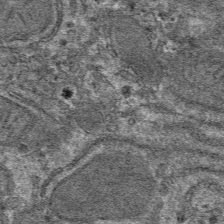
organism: Mouse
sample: Mouse hepatocytes